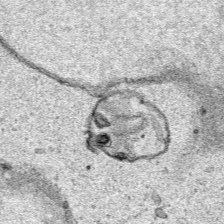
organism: Human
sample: Mitochondria in HCT116 cells